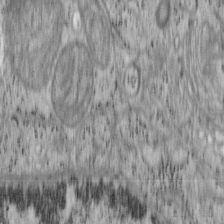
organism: Human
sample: HeLa cells